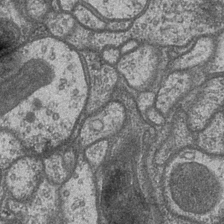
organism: Drosophila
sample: Optic medulla